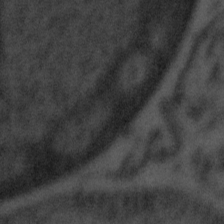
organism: Tuwongella immobilis